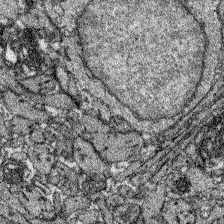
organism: Zebrafish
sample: Larval olfactory bulb